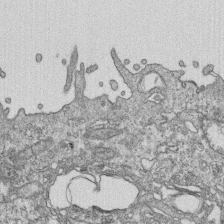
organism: Human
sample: HeLa cell HIV synapse